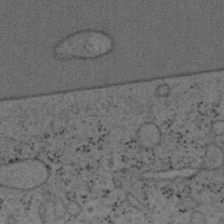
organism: Human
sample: HeLa cells